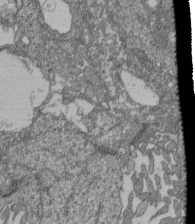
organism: Human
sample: Retinal organoid Rod and Cone cells